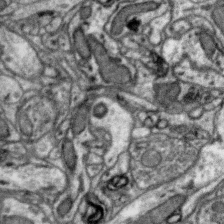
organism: Zebra finch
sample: Brain